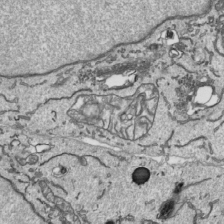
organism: Human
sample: Mitochondria in HCT116 cells